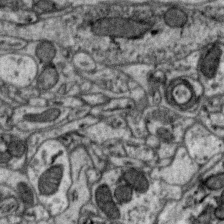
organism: Zebra finch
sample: Brain